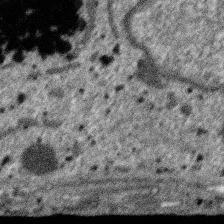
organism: Human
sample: Lung epithelial cells infected with SARS-CoV-2